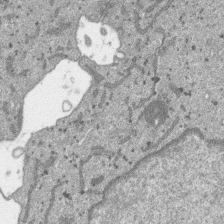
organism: Human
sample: Lung epithelial cells infected with SARS-CoV-2